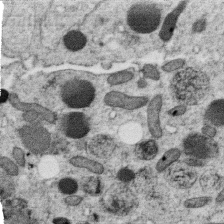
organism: C. elegans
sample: C. elegans oocyte; sperm cells